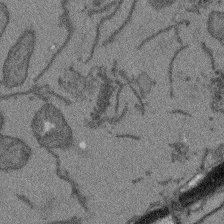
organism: Arabidopsis thaliana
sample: Root tip